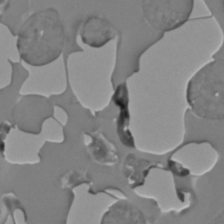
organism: C. elegans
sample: C. elegans embryo